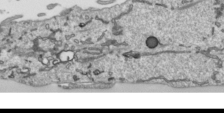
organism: Human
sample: Mitochondria in HCT116 cells